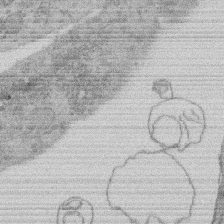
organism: Rat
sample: Salivary granule